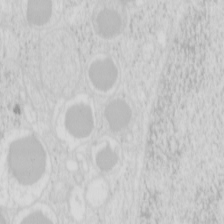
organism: Mouse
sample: Pancreas